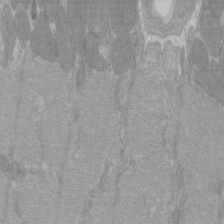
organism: C57BL Mouse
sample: Tibialis anterior muscle cell